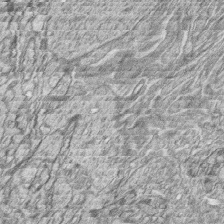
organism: Zebrafish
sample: synaptic ribbons in rod cells and cone cells